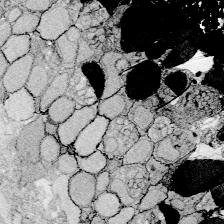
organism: Zebrafish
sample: Whole-Brain